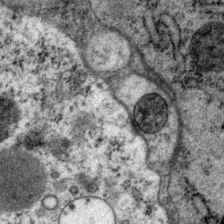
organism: P. pacificus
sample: Pharynx